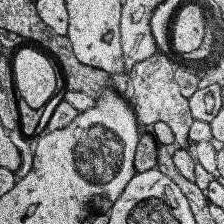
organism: Human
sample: Temporal Lobe